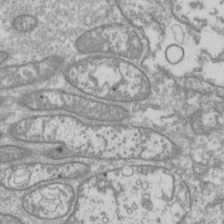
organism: Drosophila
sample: Cell division; meiosis; drosophila spermatocytes